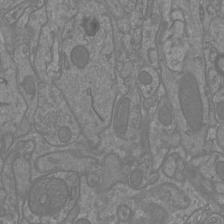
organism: Mouse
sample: Cortical neurons